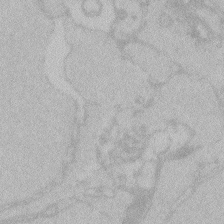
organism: Zebrafish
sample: Macrophage infected with Toxoplasma gondii